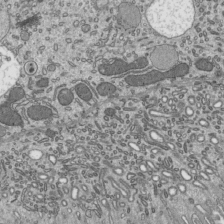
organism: Mouse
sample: Mouse epididymis efferent ductule cilia